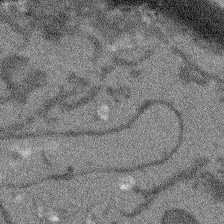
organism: Arabidopsis thaliana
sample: Root tip